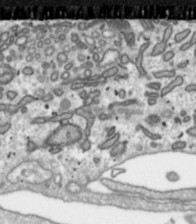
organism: Toxoplasma gondii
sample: Parasites in a vacuole inside a host cell